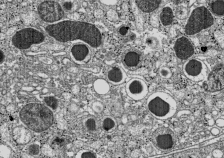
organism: C57BL Mouse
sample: Pancreatic islet